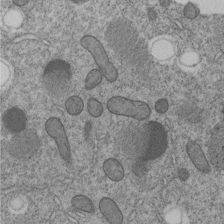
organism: C. elegans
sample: C. elegans embryo early stage